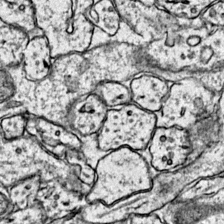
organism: Mouse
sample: Primary visual cortex